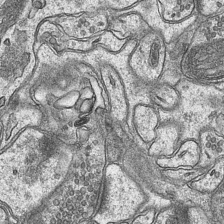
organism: Mouse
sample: CA1 Hippocampus